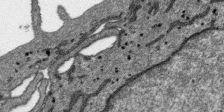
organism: Human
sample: Lung epithelial cells, uninfected (mock) control